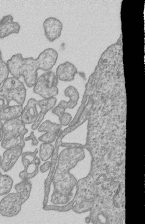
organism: Human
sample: MDA-MB-231 cells